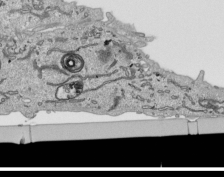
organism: Human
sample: Mitochondria in HCT116 cells